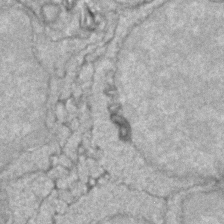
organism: Zebrafish